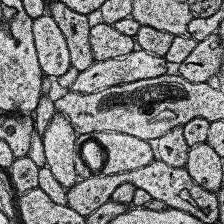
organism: Human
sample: Temporal Lobe